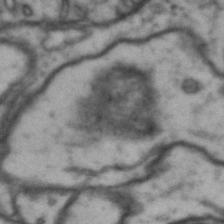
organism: Drosophila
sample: Brain